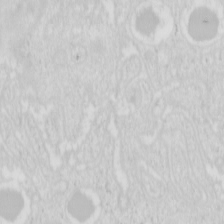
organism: Mouse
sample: Pancreas